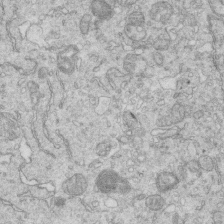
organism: Mouse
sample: Multiciliated cells